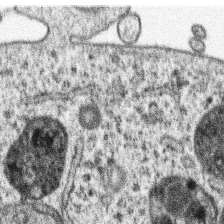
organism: Human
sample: HeLa cells